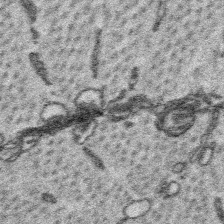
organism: Platynereis dumerilii